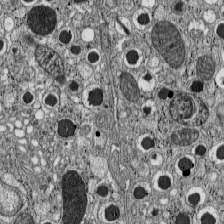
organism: C57BL Mouse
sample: Pancreatic islet